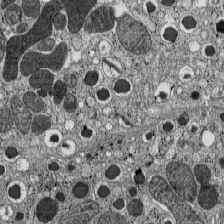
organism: C57BL Mouse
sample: Pancreatic islet